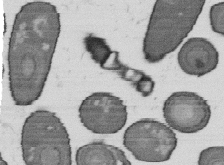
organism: B. subtilis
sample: Bacterial spore